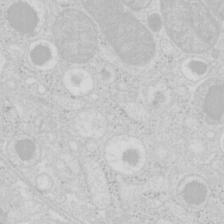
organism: Mouse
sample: Pancreas